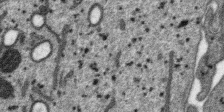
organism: Human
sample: Lung epithelial cells infected with SARS-CoV-2